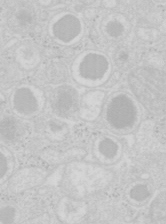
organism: Mouse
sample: Pancreas